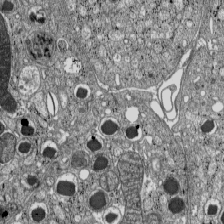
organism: C57BL Mouse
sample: Pancreatic islet